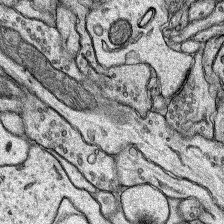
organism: Rat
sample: Hippocampus